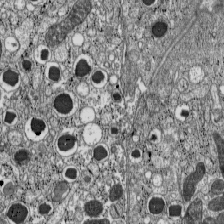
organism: C57BL Mouse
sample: Pancreatic islet